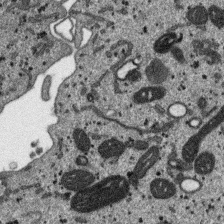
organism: Human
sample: Lung epithelial cells infected with SARS-CoV-2